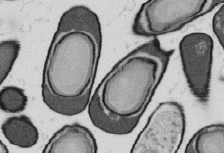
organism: B. subtilis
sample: Bacterial spore